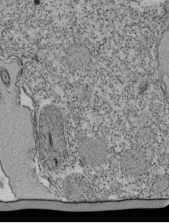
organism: Tetrahymena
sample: Cilia in tetrahymena